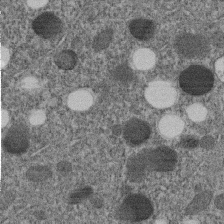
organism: C. elegans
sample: C. elegans embryo early stage